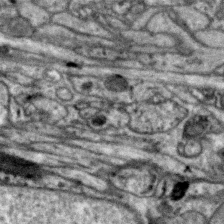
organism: Zebra finch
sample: Brain